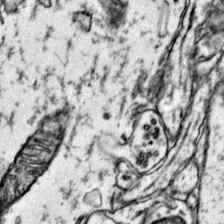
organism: Mouse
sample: Primary visual cortex